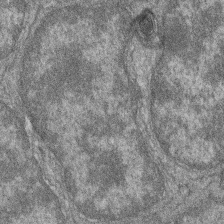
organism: Zebrafish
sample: Cilia; retinal pigment epithelium